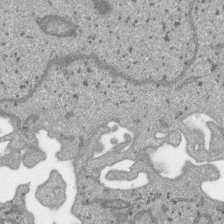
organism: Human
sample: Lung epithelial cells infected with SARS-CoV-2